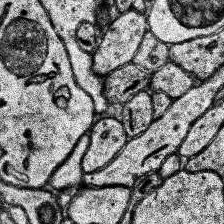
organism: Human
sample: Temporal Lobe